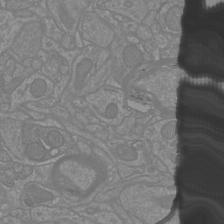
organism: Mouse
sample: Cortical neurons